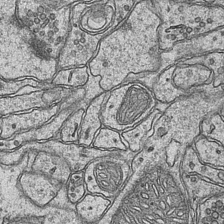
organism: Mouse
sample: CA1 Hippocampus